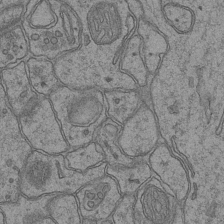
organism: Mouse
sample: CA1 Hippocampus